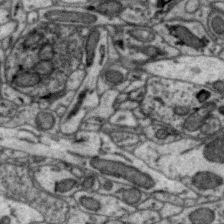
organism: Zebra finch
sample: Brain